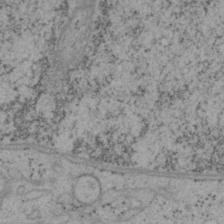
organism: Human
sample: HeLa cells